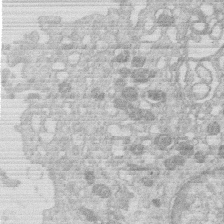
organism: Human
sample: Macrophage cells